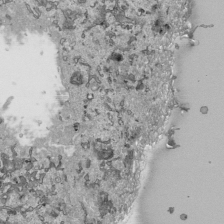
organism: Human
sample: Mitochondria in HCT116 cells